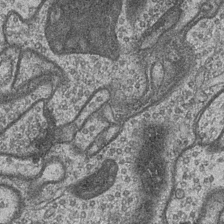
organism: Drosophila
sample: Optic medulla